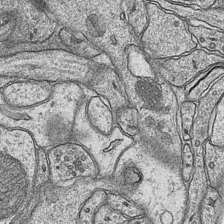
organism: Mouse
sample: CA1 Hippocampus